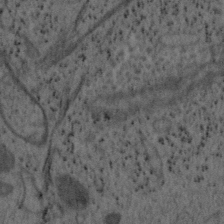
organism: Human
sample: HeLa cells